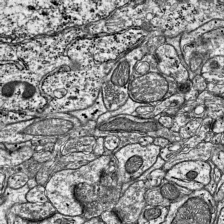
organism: Mouse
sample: Visual Cortex